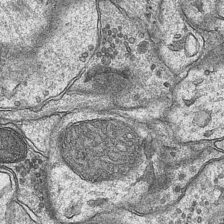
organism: Mouse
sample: CA1 Hippocampus